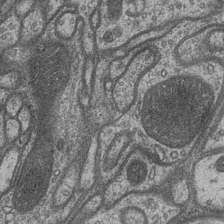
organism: Drosophila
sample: Optic medulla